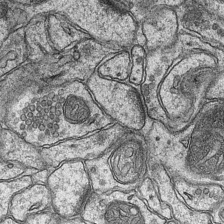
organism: Mouse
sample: CA1 Hippocampus